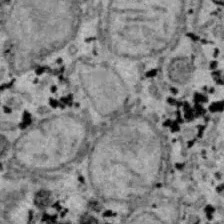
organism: Mouse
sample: Liver from an obese (ob/ob) mouse